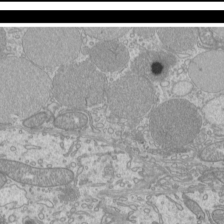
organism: Mouse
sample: Cilia; mouse epididymis